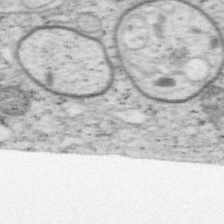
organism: Mouse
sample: OT-I killer T cells with ID8 ovarian cancer cells